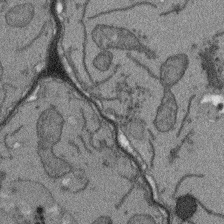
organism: Arabidopsis thaliana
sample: Root tip